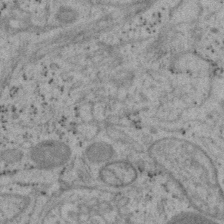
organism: Human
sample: HeLa cells